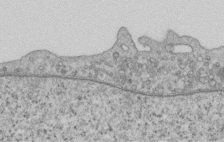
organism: Human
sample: Centriole in RPE cells